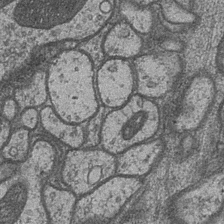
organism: Drosophila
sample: Optic medulla